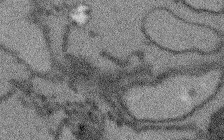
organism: Arabidopsis thaliana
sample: Root tip